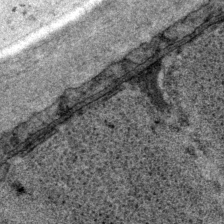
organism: P. pacificus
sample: Pharynx